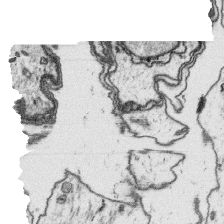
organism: Platynereis dumerilii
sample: Parapodia